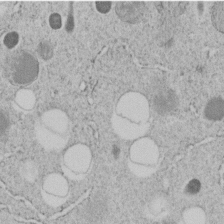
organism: C. elegans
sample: C. elegans embryo early stage